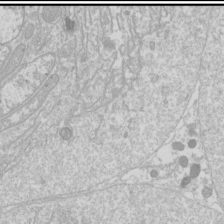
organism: Drosophila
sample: Cell division; meiosis; drosophila spermatocytes